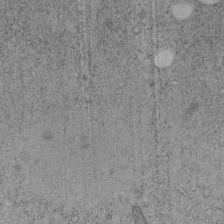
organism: C. elegans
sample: C. elegans embryo early stage